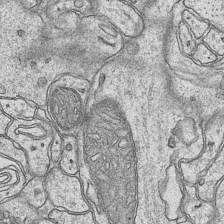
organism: Mouse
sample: CA1 Hippocampus